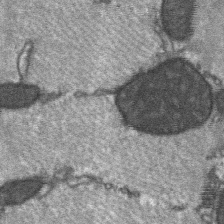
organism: C57BL Mouse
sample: Soleus